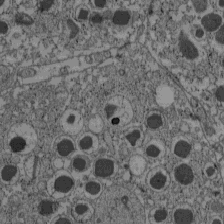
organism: C57BL Mouse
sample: Pancreatic islet